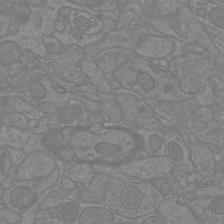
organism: Mouse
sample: Cortical neurons